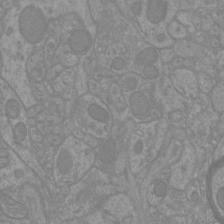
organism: Mouse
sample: Cortical neurons